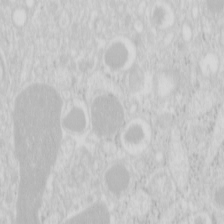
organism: Mouse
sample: Pancreas